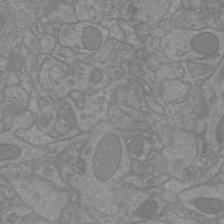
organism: Mouse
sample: Cortical neurons